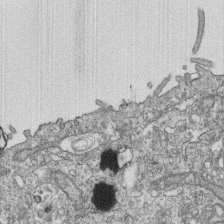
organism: Human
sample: HeLa cell HIV synapse